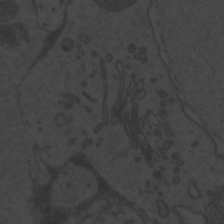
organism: Zebrafish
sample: Macrophage infected with Toxoplasma gondii